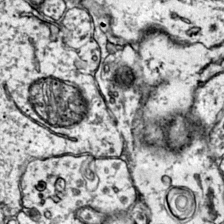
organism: Mouse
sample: Primary visual cortex